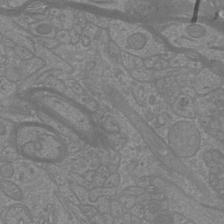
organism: Mouse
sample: Cortical neurons